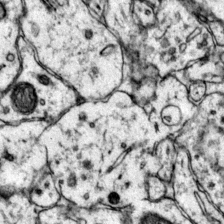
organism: Mouse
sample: Primary visual cortex